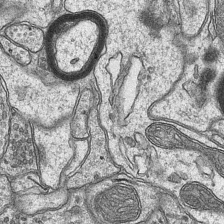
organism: Mouse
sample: CA1 Hippocampus